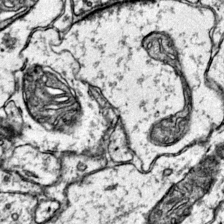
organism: Mouse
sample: Primary visual cortex